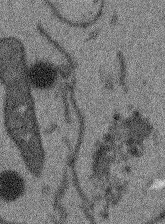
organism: Arabidopsis thaliana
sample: Root tip